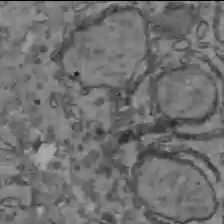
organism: C57BL Mouse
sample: Liver